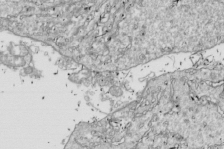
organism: Drosophila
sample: Cell division; meiosis; drosophila spermatocytes